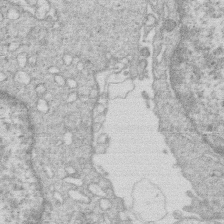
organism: Human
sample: Macrophage cells